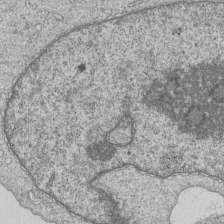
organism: Human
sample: MDA-MB-231 cells